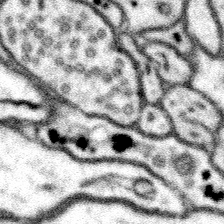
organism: Mouse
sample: Somatosensory cortex neuropil